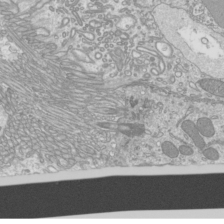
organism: Mouse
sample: Cilia; mouse epididymis